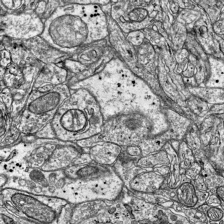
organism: Mouse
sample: Visual Cortex